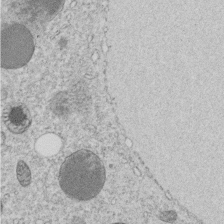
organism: C. elegans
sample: C. elegans embryo early stage